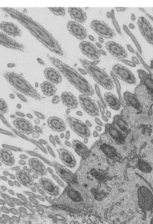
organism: Mouse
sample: Mouse epididymis efferent ductule cilia